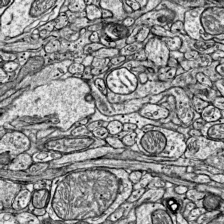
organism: Mouse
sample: Visual Cortex